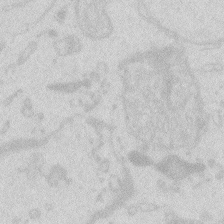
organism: Zebrafish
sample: Macrophage